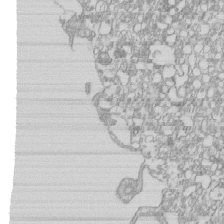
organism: Mouse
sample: Macrophages